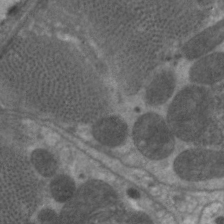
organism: C. elegans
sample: Pharynx